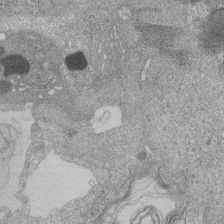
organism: Human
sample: Retinal organoid Rod and Cone cells